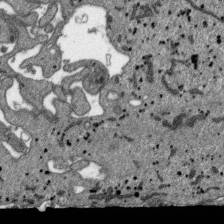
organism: Human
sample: Lung epithelial cells, uninfected (mock) control